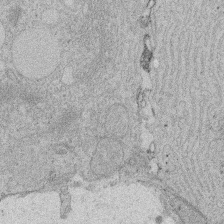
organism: Rat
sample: Salivary granule